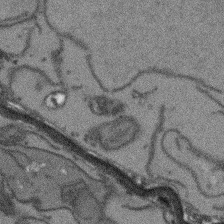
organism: Arabidopsis thaliana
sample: Root tip